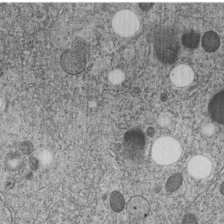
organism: C. elegans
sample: C. elegans embryo early stage